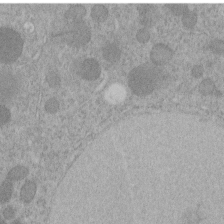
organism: C. elegans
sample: C. elegans embryo early stage